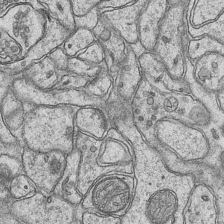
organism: Mouse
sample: CA1 Hippocampus